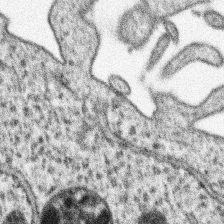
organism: Human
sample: HeLa cells